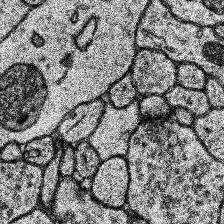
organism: Human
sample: Temporal Lobe